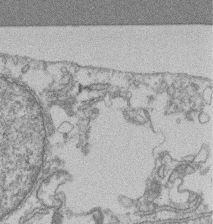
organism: Mouse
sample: T cell stromal cell synapse